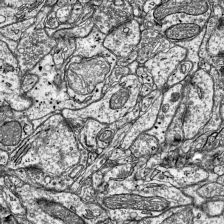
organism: Mouse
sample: Visual Cortex